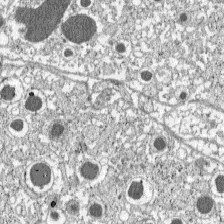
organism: C57BL Mouse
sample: Pancreatic islet